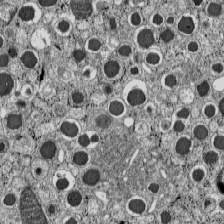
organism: C57BL Mouse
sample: Pancreatic islet